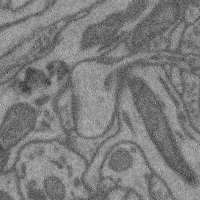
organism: Mouse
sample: Cerebral cortex